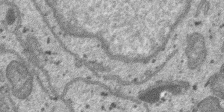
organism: Human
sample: Lung epithelial cells infected with SARS-CoV-2